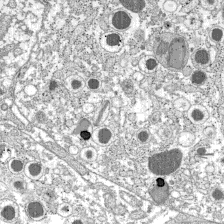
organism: C57BL Mouse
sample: Pancreatic islet